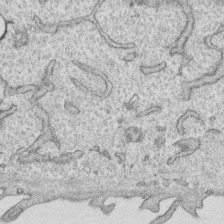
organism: Human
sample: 1205lu cells